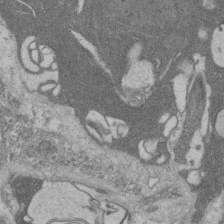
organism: Rat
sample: Salivary granule